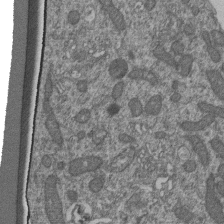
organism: Human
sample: Retinal organoid Rod and Cone cells